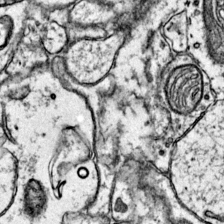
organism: Mouse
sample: Primary visual cortex